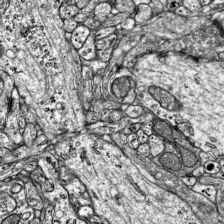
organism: Mouse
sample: Visual Cortex